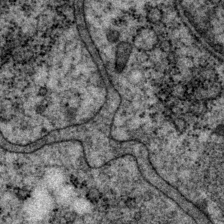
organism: P. pacificus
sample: Pharynx